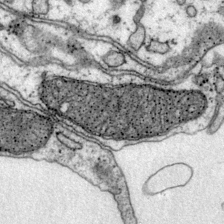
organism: Mouse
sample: Primary visual cortex